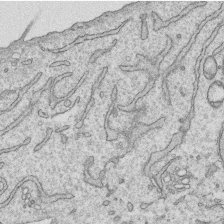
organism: Human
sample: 1205lu cells